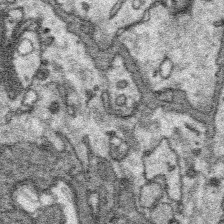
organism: Platynereis dumerilii